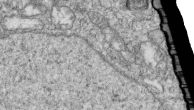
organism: Human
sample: HeLa cell HIV synapse